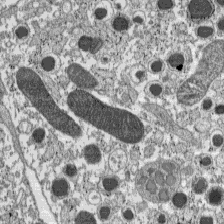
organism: C57BL Mouse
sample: Pancreatic islet